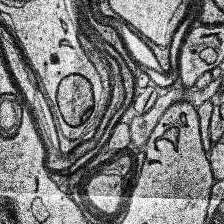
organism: Human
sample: Temporal Lobe